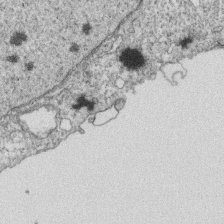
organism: Human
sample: HeLa cell HIV synapse